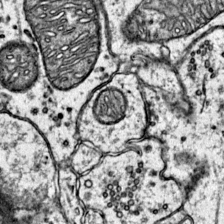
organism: Mouse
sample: Primary visual cortex